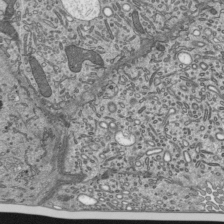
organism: Mouse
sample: Mouse epididymis efferent ductule cilia